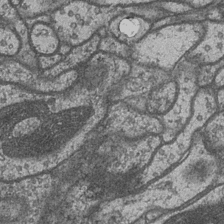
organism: Drosophila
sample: Optic medulla